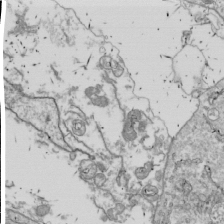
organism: Drosophila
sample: Cell division; meiosis; drosophila spermatocytes